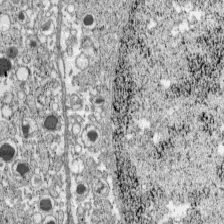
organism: C57BL Mouse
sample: Pancreatic islet